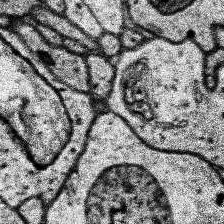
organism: Human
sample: Temporal Lobe